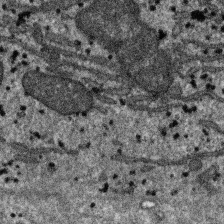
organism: Human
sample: Lung epithelial cells infected with SARS-CoV-2